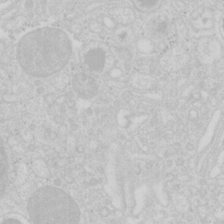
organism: Mouse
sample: Pancreas